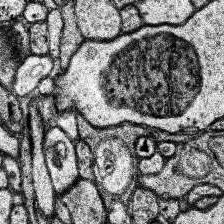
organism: Human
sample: Temporal Lobe